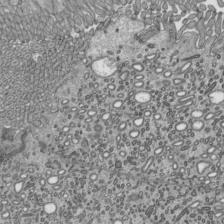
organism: Mouse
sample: Mouse epididymis efferent ductule cilia